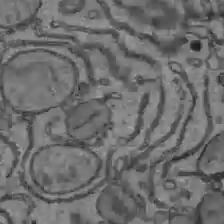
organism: C57BL Mouse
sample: Liver